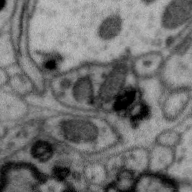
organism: Zebra finch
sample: Brain